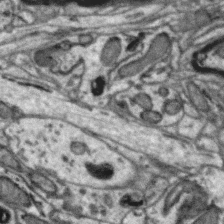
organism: Zebra finch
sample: Brain